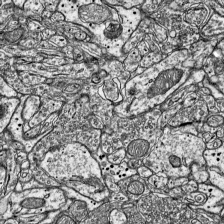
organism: Mouse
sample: Visual Cortex